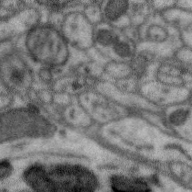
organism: Zebra finch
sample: Brain